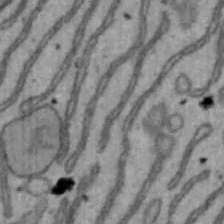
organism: Mouse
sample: Liver